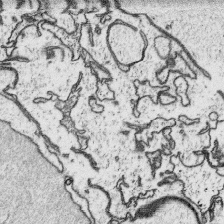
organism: Platynereis dumerilii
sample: Parapodia